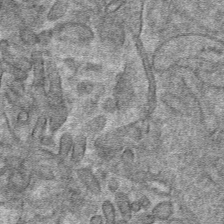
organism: Mouse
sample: Mouse hepatocytes